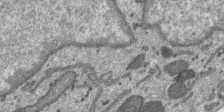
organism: Human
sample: Lung epithelial cells infected with SARS-CoV-2